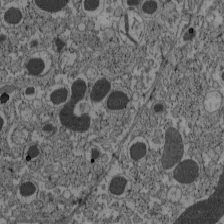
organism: C57BL Mouse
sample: Pancreatic islet